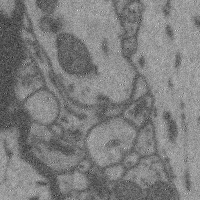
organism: Mouse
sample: Cerebral cortex